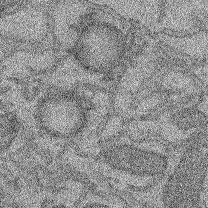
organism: Human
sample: HeLa cells